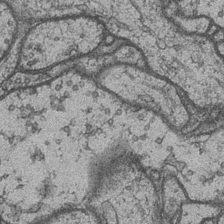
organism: Drosophila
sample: Optic medulla